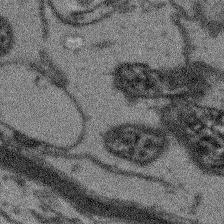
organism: Arabidopsis thaliana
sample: Root tip